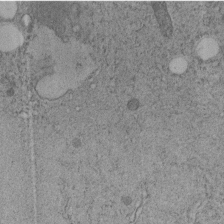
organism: C. elegans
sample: C. elegans embryo early stage